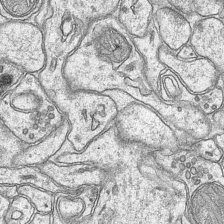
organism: Mouse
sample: CA1 Hippocampus